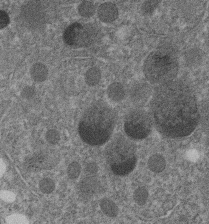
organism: C. elegans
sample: C. elegans embryo early stage